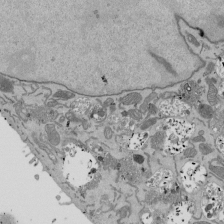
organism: Mouse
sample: ED-1 cell nuclei; centrioles